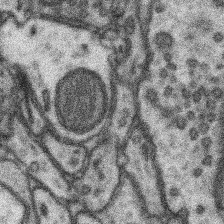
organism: Mouse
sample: Somatosensory cortex neuropil